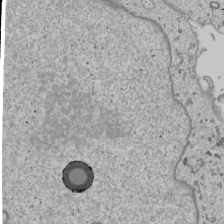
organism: Human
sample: Mitochondria in U2OS cells